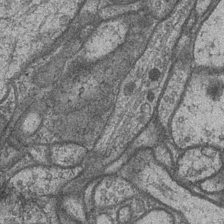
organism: Drosophila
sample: Optic medulla